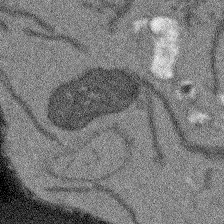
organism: Arabidopsis thaliana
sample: Root tip